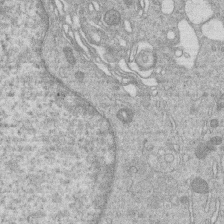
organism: Human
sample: Macrophage cells